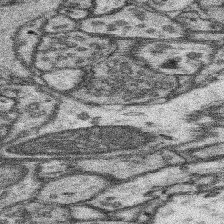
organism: Mouse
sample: Somatosensory cortex neuropil